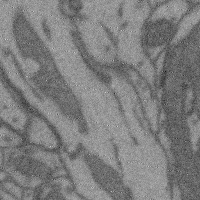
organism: Mouse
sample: Cerebral cortex